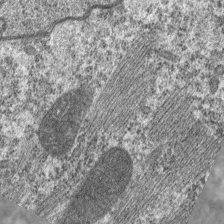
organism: C. elegans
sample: Pharynx